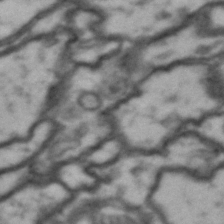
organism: Drosophila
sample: Brain